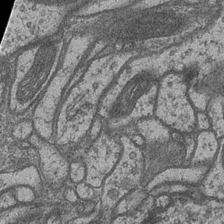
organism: Drosophila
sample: Optic medulla